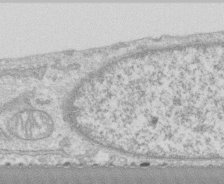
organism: Human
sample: CRL-1474